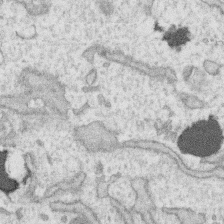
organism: Human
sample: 1205lu cells